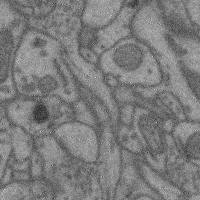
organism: Mouse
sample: Cerebral cortex